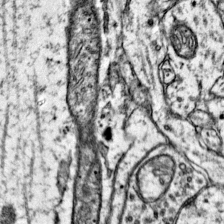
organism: Mouse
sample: Primary visual cortex